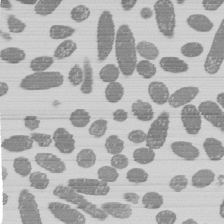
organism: E. coli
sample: Bacterial nucleoid